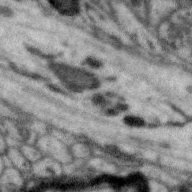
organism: Zebra finch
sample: Brain